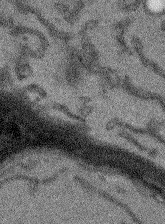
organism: Arabidopsis thaliana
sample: Root tip